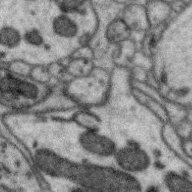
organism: Zebra finch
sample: Brain